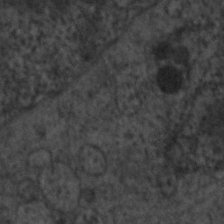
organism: C. elegans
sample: Pharynx